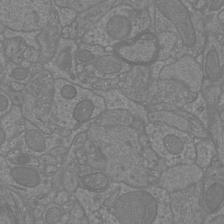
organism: Mouse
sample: Cortical neurons